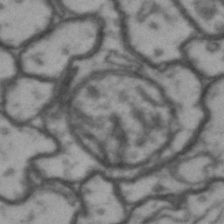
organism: Drosophila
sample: Brain